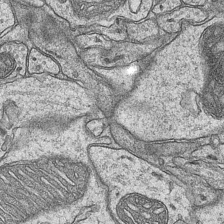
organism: Mouse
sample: CA1 Hippocampus